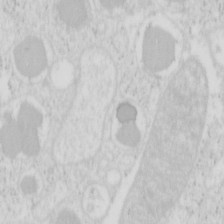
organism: Mouse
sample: Pancreas